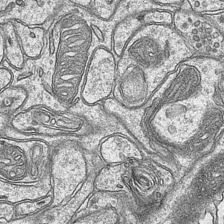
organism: Mouse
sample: CA1 Hippocampus